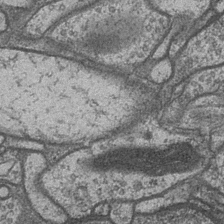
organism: Drosophila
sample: Optic medulla